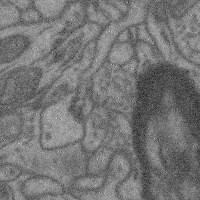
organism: Mouse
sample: Cerebral cortex